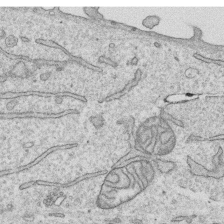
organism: Human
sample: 1205lu cells